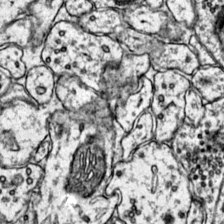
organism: Mouse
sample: Primary visual cortex